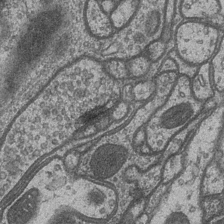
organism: Drosophila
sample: Optic medulla